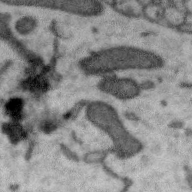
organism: Zebra finch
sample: Brain